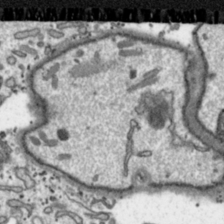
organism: Toxoplasma gondii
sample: Parasites in a vacuole inside a host cell